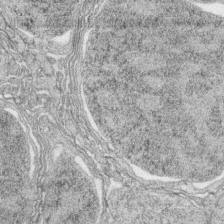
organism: Zebrafish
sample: synaptic ribbons in rod cells and cone cells